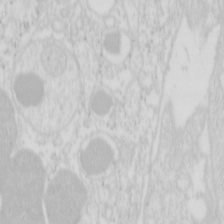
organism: Mouse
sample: Pancreas